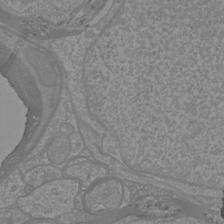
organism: Mouse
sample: Cortical neurons